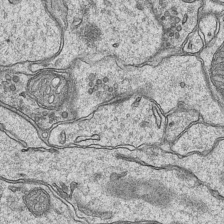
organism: Mouse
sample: CA1 Hippocampus